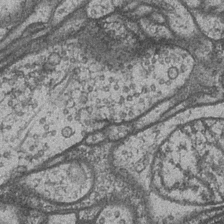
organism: Drosophila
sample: Optic medulla